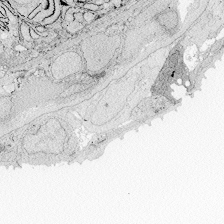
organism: Zebrafish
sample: Whole-Brain